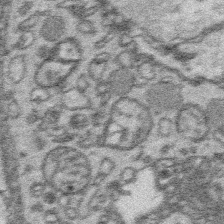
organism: Platynereis dumerilii